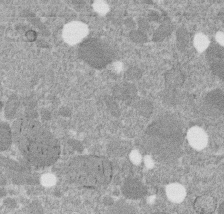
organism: C. elegans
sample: C. elegans embryo early stage